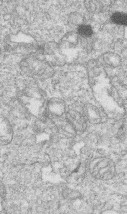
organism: Human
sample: HeLa cell HIV synapse